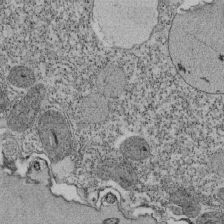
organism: Tetrahymena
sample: Cilia in tetrahymena